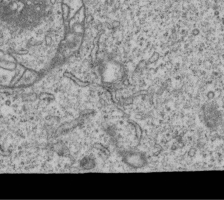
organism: Human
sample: MDA-MB-231 cells